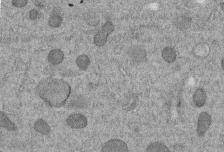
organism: C. elegans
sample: C. elegans embryo early stage